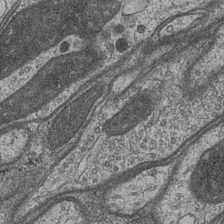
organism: Drosophila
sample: Optic medulla